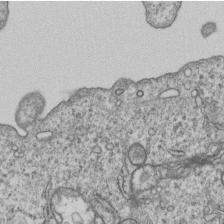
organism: Human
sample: MDA-MB-231 cells